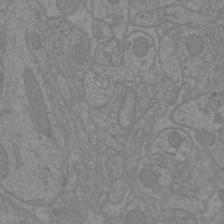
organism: Mouse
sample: Cortical neurons